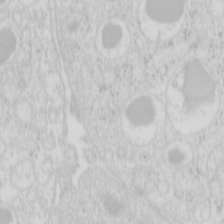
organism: Mouse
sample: Pancreas